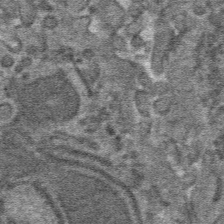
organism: Mouse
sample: Mouse hepatocytes